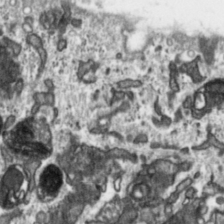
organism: Toxoplasma gondii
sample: Parasites in a vacuole inside a host cell